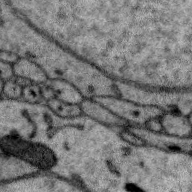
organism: Zebra finch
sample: Brain